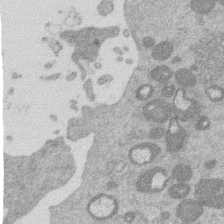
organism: Mouse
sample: Dividing mouse embryo 1 cell stage